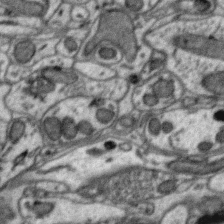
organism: Zebra finch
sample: Brain